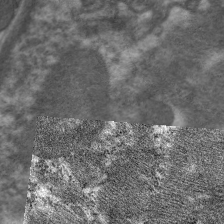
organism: C. elegans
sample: Pharynx